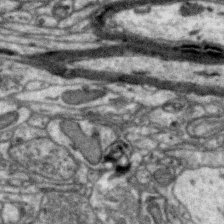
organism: Zebra finch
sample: Brain